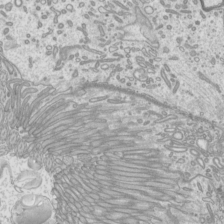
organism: Mouse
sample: Cilia; mouse epididymis